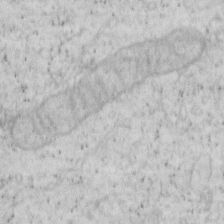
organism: Human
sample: HeLa cells